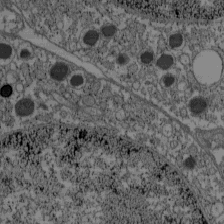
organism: C57BL Mouse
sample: Pancreatic islet